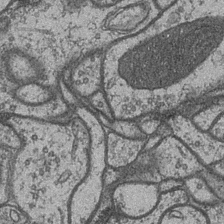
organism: Drosophila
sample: Optic medulla